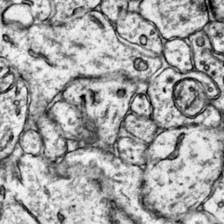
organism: Mouse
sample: Primary visual cortex